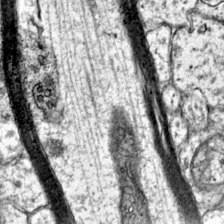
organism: Mouse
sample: Primary visual cortex